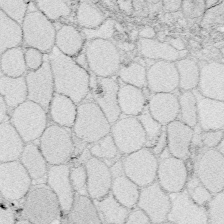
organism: Zebrafish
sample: Whole-Brain